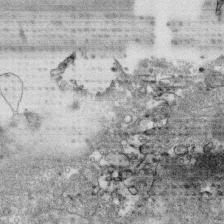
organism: Human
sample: CRL-1474